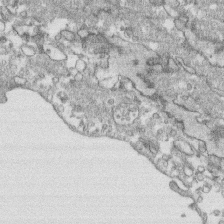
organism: Human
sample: CRL-1474